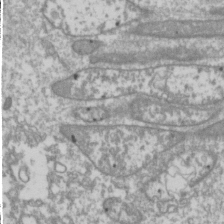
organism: Drosophila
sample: Cell division; meiosis; drosophila spermatocytes